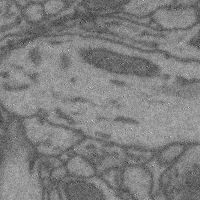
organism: Mouse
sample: Cerebral cortex